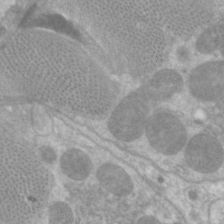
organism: C. elegans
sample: Pharynx